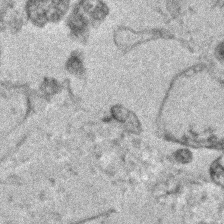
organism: Human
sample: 1205lu cells